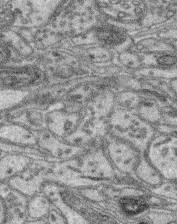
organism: Mouse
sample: Retina